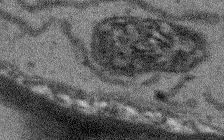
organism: Arabidopsis thaliana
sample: Root tip